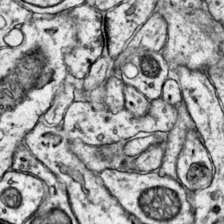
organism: Mouse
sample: Primary visual cortex